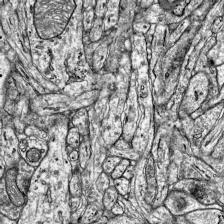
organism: Mouse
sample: Visual Cortex